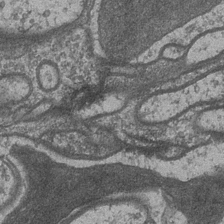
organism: Drosophila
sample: Optic medulla